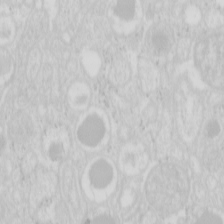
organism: Mouse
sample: Pancreas